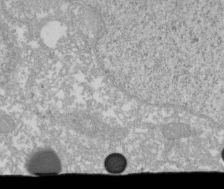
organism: Xenopus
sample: Cilia; centrioles in frog embryo cells